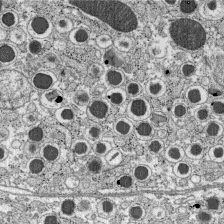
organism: C57BL Mouse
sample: Pancreatic islet